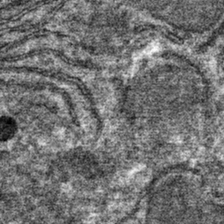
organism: Mouse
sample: Mouse hepatocytes